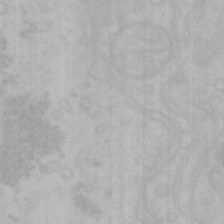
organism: Mouse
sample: Choroid plexus